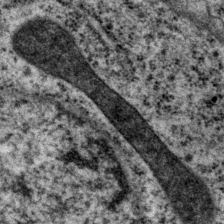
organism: P. pacificus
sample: Pharynx